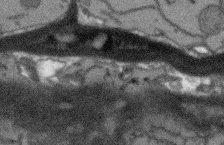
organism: Arabidopsis thaliana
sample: Root tip